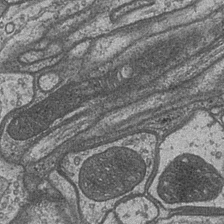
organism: Drosophila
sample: Optic medulla